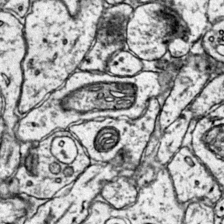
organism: Mouse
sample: Primary visual cortex